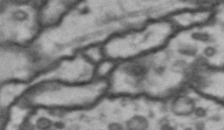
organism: Drosophila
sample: Brain